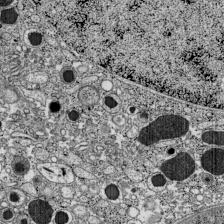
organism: C57BL Mouse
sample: Pancreatic islet